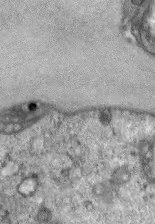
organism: Mouse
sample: Corneal nerves